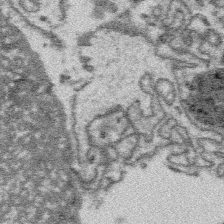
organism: Platynereis dumerilii